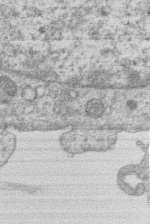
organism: Human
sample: Macrophage cells